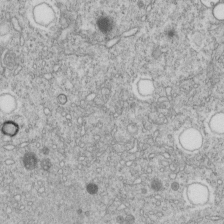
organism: C. elegans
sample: C. elegans embryo early stage